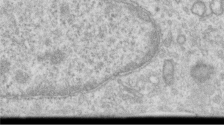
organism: Human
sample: Centriole in RPE cells